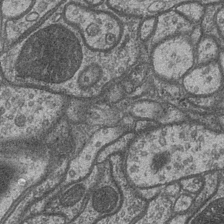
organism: Drosophila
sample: Optic medulla